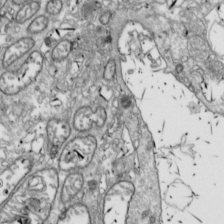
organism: Drosophila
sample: Cell division; meiosis; drosophila spermatocytes